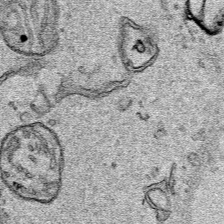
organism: Human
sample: Mitochondria in HCT116 cells